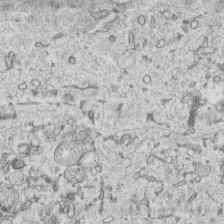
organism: Human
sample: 1205lu cells